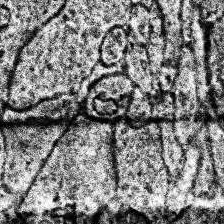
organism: Human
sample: Temporal Lobe